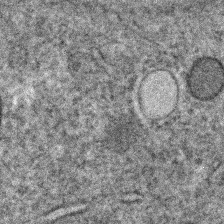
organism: C. elegans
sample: C. elegans embryo